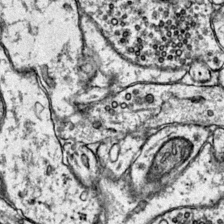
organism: Mouse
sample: Primary visual cortex